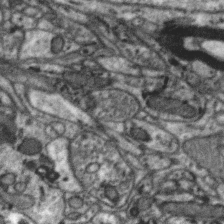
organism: Zebra finch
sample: Brain